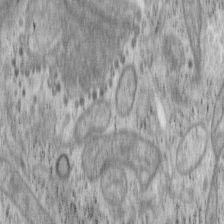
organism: Human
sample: HeLa cells